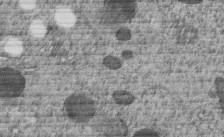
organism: C. elegans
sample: C. elegans embryo early stage